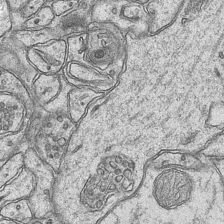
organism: Mouse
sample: CA1 Hippocampus